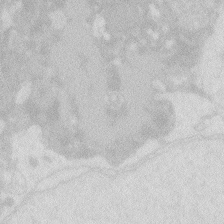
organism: Zebrafish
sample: Macrophage